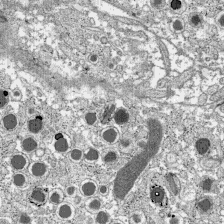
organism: C57BL Mouse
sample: Pancreatic islet